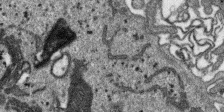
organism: Human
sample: Lung epithelial cells infected with SARS-CoV-2